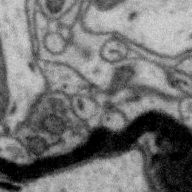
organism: Zebra finch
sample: Brain